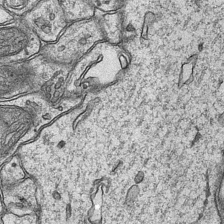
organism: Mouse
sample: CA1 Hippocampus